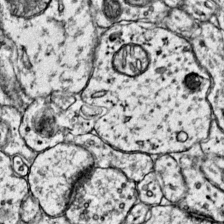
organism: Mouse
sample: Primary visual cortex